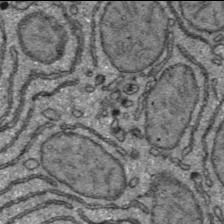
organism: C57BL Mouse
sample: Liver